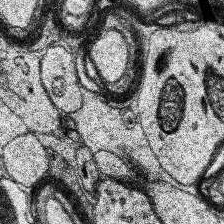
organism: Human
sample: Temporal Lobe